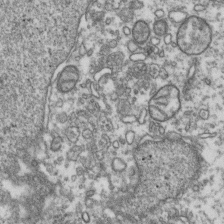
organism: Human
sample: Activated Jurkat CD4+ T cells